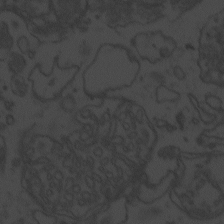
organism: Zebrafish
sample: Macrophage infected with Toxoplasma gondii